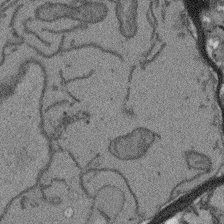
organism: Arabidopsis thaliana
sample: Root tip